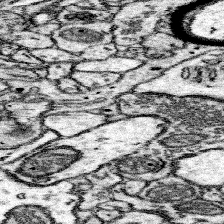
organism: Mouse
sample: Somatosensory cortex neuropil